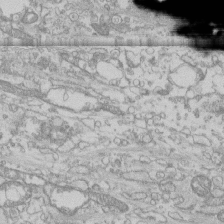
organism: Human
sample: CRL-1474